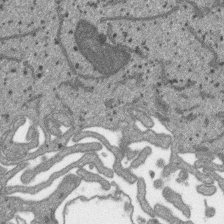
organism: Human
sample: Lung epithelial cells infected with SARS-CoV-2